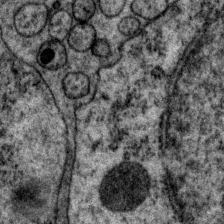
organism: P. pacificus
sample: Pharynx